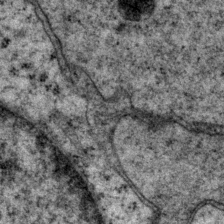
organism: P. pacificus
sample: Pharynx